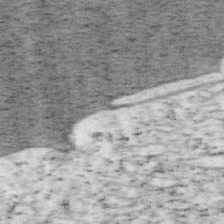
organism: Mouse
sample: OT-I killer T cells with ID8 ovarian cancer cells